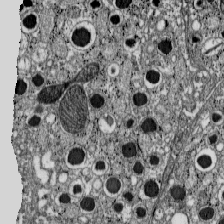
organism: C57BL Mouse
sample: Pancreatic islet